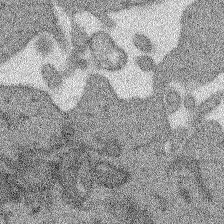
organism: Human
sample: HeLa cells